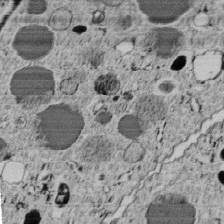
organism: C. elegans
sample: C. elegans embryo early stage